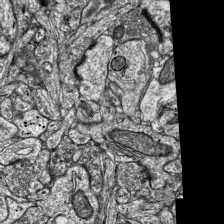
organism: Mouse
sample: Visual Cortex